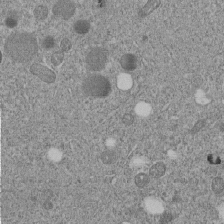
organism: C. elegans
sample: C. elegans embryo early stage